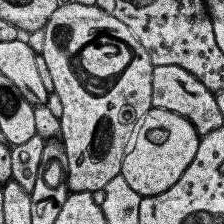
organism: Human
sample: Temporal Lobe